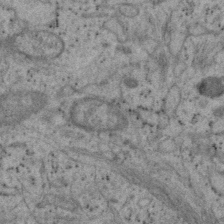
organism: Human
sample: HeLa cells